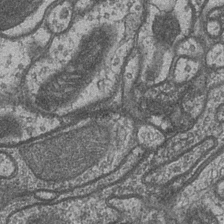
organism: Drosophila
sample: Optic medulla